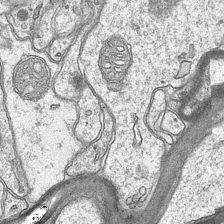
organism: Mouse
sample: CA1 Hippocampus